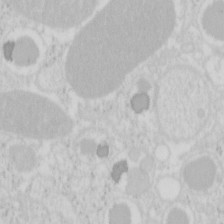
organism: Mouse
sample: Pancreas